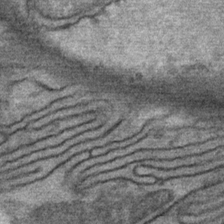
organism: Mouse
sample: Mouse Salivary gland